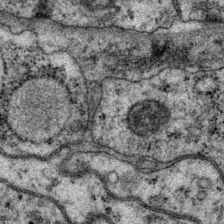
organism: P. pacificus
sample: Pharynx